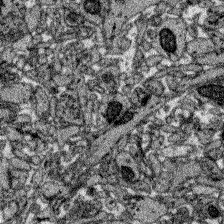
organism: Zebrafish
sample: Larval olfactory bulb